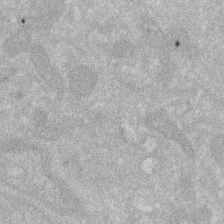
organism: Human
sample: HIV infected U937 cells